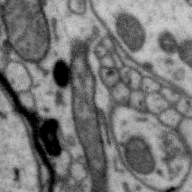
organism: Zebra finch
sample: Brain